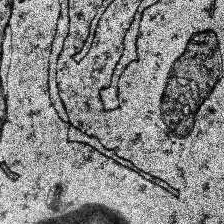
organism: Human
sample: Temporal Lobe